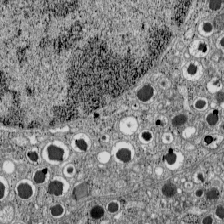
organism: C57BL Mouse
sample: Pancreatic islet